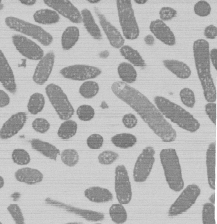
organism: E. coli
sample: Bacterial nucleoid